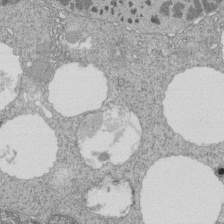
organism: Tetrahymena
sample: Cilia in tetrahymena